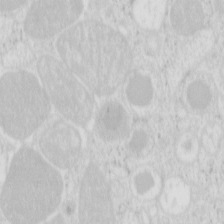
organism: Mouse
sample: Pancreas